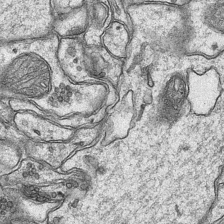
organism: Mouse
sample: CA1 Hippocampus